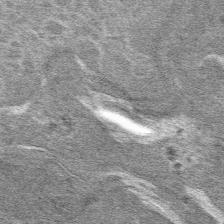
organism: Mouse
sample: Mouse hepatocytes